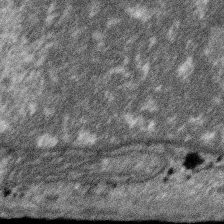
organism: Human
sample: Lung epithelial cells infected with SARS-CoV-2